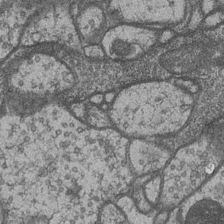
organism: Drosophila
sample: Optic medulla